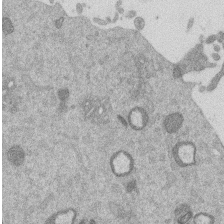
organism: Mouse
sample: Dividing mouse embryo 1 cell stage